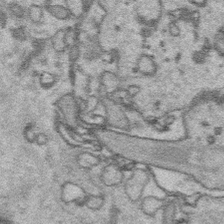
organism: Platynereis dumerilii